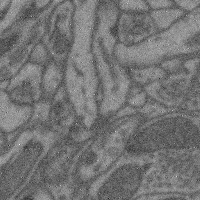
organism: Mouse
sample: Cerebral cortex